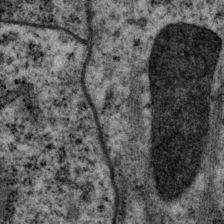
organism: P. pacificus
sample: Pharynx